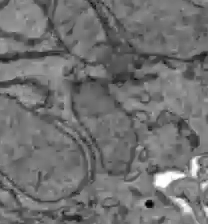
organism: C57BL Mouse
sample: Liver